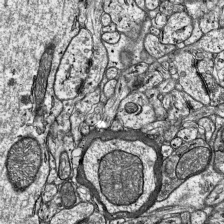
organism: Mouse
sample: Visual Cortex